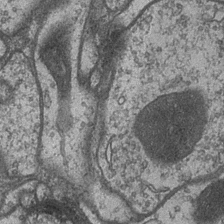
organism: Drosophila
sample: Optic medulla